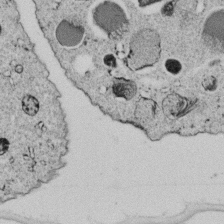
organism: C. elegans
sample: C. elegans embryo early stage